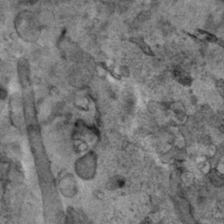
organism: Human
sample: Mitochondria in HCT116 cells